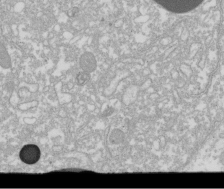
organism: Xenopus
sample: Cilia; centrioles in frog embryo cells